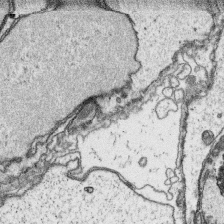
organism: Platynereis dumerilii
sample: Parapodia